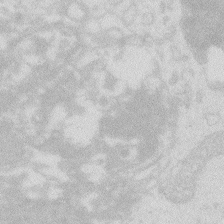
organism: Zebrafish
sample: Macrophage